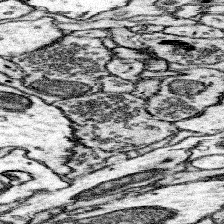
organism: Mouse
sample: Somatosensory cortex neuropil